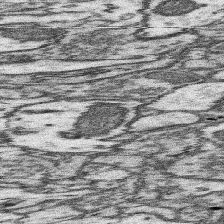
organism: Mouse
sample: Somatosensory cortex neuropil